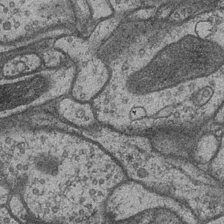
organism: Drosophila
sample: Optic medulla